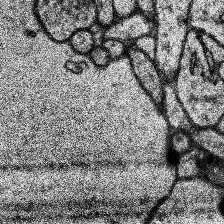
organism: Human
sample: Temporal Lobe